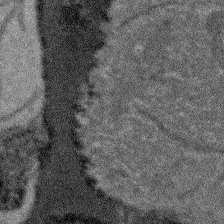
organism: Arabidopsis thaliana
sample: Root tip